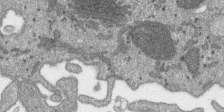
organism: Human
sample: Lung epithelial cells infected with SARS-CoV-2